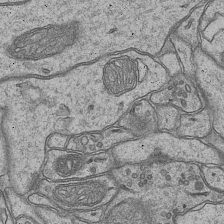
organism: Mouse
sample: CA1 Hippocampus